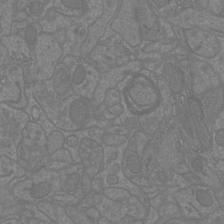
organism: Mouse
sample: Cortical neurons